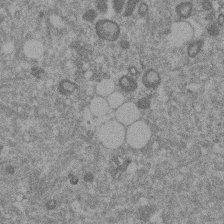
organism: Mouse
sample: Dividing mouse embryo 1 cell stage